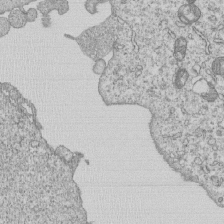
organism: Human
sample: MDA-MB-231 cells